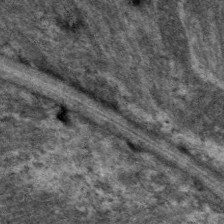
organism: C. elegans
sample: Pharynx